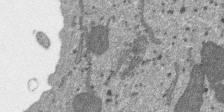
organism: Human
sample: Lung epithelial cells infected with SARS-CoV-2